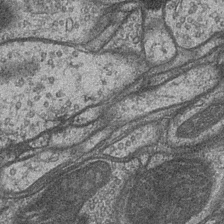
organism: Drosophila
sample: Optic medulla